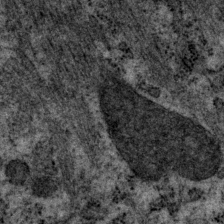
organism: P. pacificus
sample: Pharynx